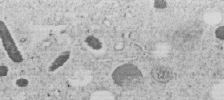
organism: C. elegans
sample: C. elegans embryo early stage